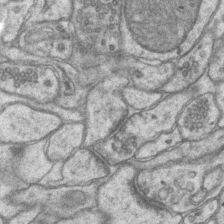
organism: Mouse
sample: CA1 Hippocampus